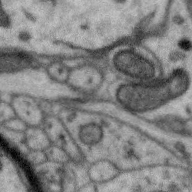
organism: Zebra finch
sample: Brain